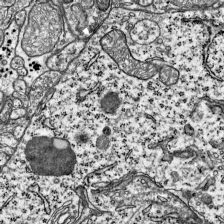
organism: Mouse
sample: Visual Cortex